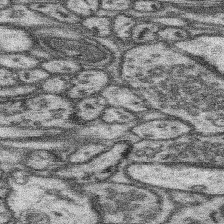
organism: Mouse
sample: Somatosensory cortex neuropil